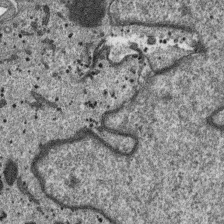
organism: Human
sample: Lung epithelial cells infected with SARS-CoV-2